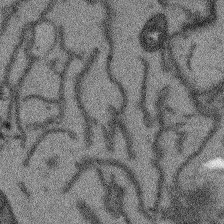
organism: Arabidopsis thaliana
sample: Root tip